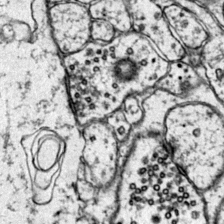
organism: Mouse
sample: Primary visual cortex